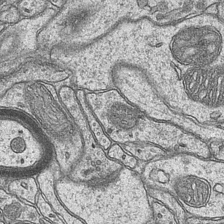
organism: Mouse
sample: CA1 Hippocampus